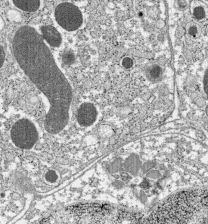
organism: C57BL Mouse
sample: Pancreatic islet